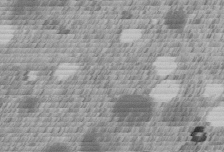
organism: C. elegans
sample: C. elegans embryo early stage